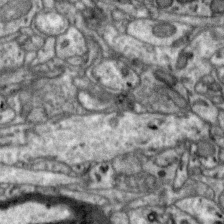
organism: Zebra finch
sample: Brain